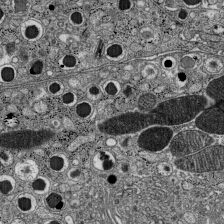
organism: C57BL Mouse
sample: Pancreatic islet